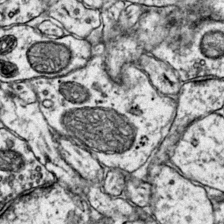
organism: Mouse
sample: Primary visual cortex